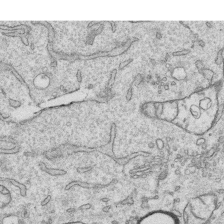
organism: Human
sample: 1205lu cells